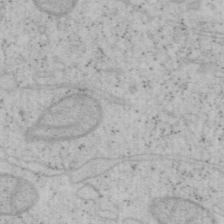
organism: Human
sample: HeLa cells